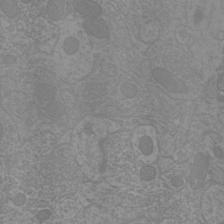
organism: Mouse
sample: Cortical neurons